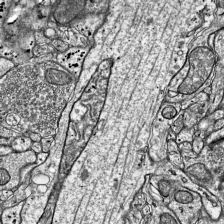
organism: Mouse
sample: Visual Cortex